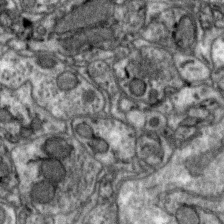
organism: Zebra finch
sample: Brain